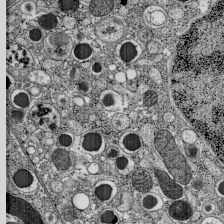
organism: C57BL Mouse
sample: Pancreatic islet